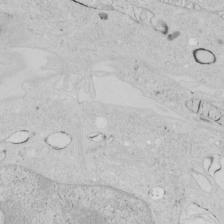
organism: Human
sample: Mitochondria in HCT116 cells